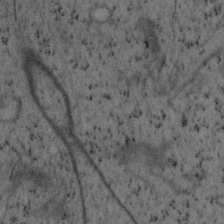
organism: Human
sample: HeLa cells